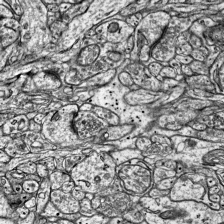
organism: Mouse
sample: Visual Cortex